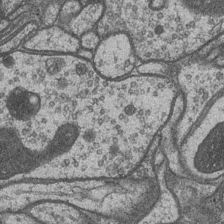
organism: Drosophila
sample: Optic medulla